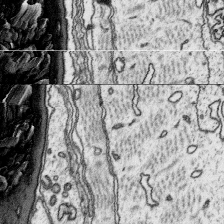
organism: Platynereis dumerilii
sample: Parapodia